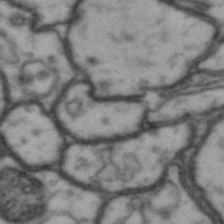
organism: Drosophila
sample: Brain